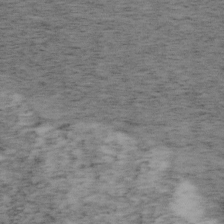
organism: Mouse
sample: OT-I killer T cells with ID8 ovarian cancer cells